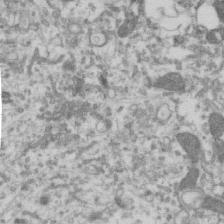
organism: Human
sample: Centriole in RPE cells